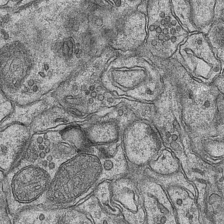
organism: Mouse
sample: CA1 Hippocampus